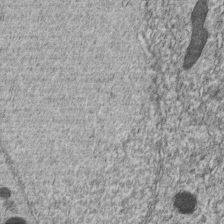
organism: C. elegans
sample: C. elegans embryo early stage